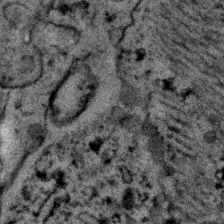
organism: C. elegans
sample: C. elegans embryo